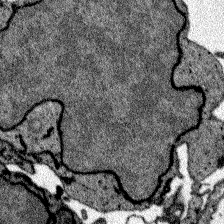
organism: Zebrafish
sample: Larval olfactory bulb